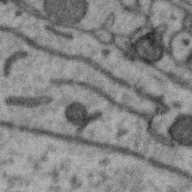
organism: Zebra finch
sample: Brain